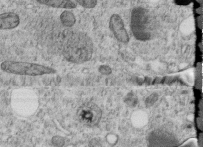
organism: C. elegans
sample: C. elegans embryo early stage